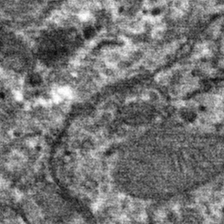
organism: Mouse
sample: Mouse hepatocytes